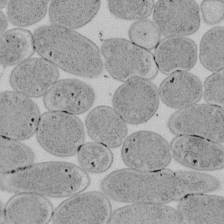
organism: E. coli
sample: Bacterial nucleoid